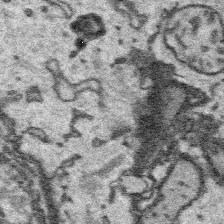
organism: Platynereis dumerilii